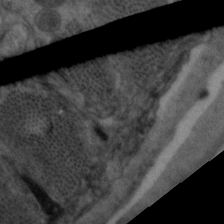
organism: C. elegans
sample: Pharynx